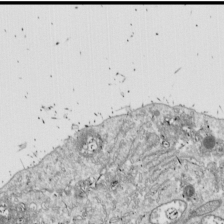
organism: Drosophila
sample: Cell division; meiosis; drosophila spermatocytes